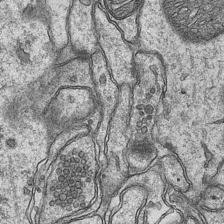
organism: Mouse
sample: CA1 Hippocampus